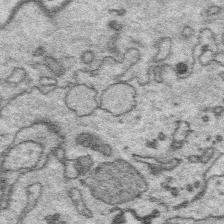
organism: Platynereis dumerilii